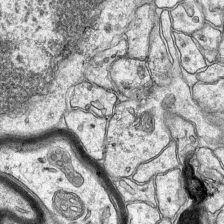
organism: Mouse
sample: CA1 Hippocampus